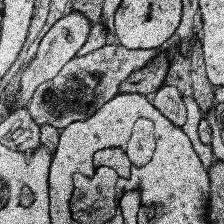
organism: Human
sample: Temporal Lobe